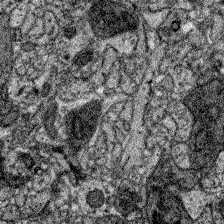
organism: Zebrafish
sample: Larval olfactory bulb